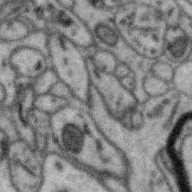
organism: Zebra finch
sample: Brain